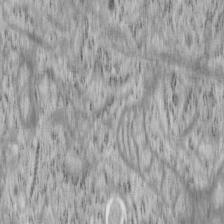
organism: Human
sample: HeLa cells